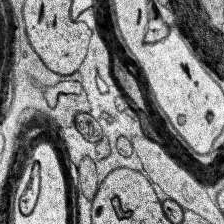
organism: Human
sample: Temporal Lobe